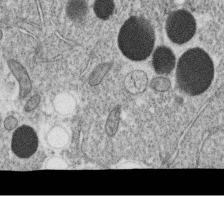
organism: C. elegans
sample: C. elegans oocyte; sperm cells